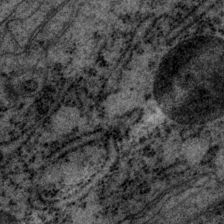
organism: P. pacificus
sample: Pharynx